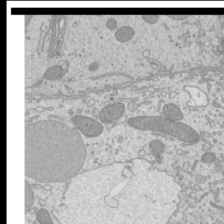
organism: Mouse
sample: Cilia; mouse epididymis